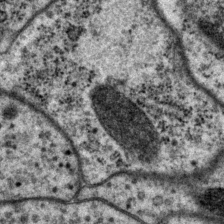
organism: P. pacificus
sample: Pharynx